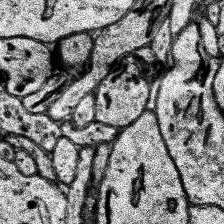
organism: Human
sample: Temporal Lobe